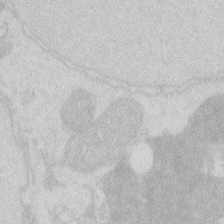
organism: Zebrafish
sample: Macrophage